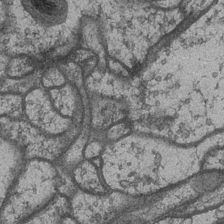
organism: Drosophila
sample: Optic medulla